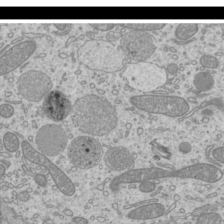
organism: Mouse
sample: Cilia; mouse epididymis